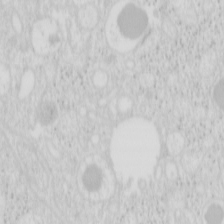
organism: Mouse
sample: Pancreas